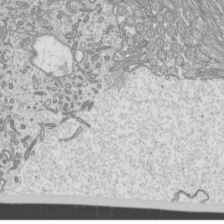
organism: Mouse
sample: Cilia; mouse epididymis